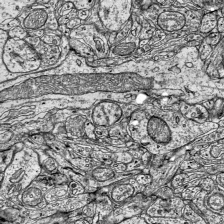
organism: Mouse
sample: Visual Cortex